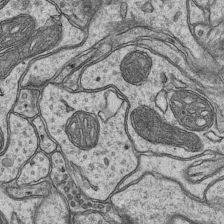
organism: Mouse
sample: CA1 Hippocampus